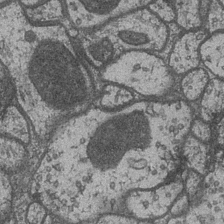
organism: Drosophila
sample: Optic medulla